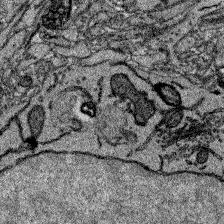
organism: Zebrafish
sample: Larval olfactory bulb